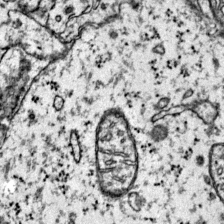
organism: Mouse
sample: Primary visual cortex